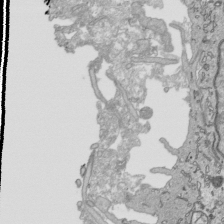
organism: Human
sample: Mitochondria in HCT116 cells